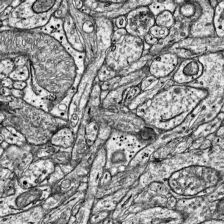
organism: Mouse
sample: Visual Cortex